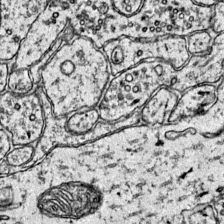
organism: Mouse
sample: Primary visual cortex